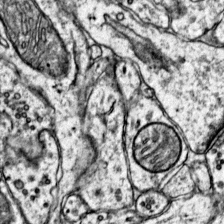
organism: Mouse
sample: Primary visual cortex